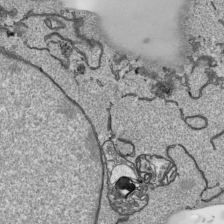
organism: Human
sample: Mitochondria in HCT116 cells